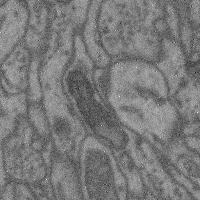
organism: Mouse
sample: Cerebral cortex